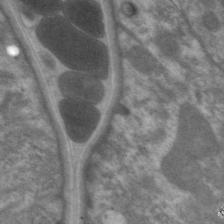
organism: C. elegans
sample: Pharynx